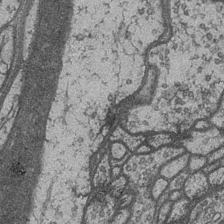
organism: Drosophila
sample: Optic medulla